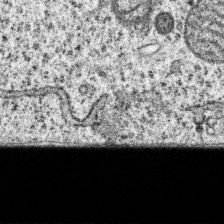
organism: Human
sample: HeLa cells